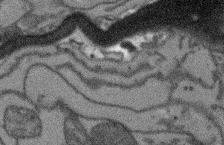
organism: Arabidopsis thaliana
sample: Root tip